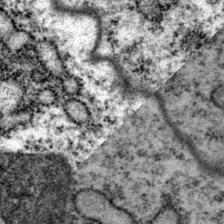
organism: P. pacificus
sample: Pharynx